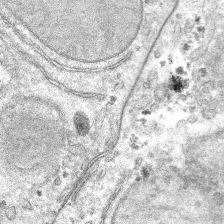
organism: Mouse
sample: Mouse hepatocytes